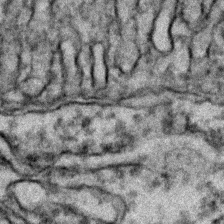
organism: Zebrafish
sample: Zebrafish embryo